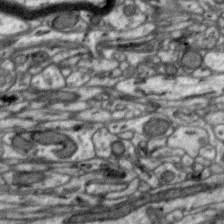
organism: Zebra finch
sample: Brain